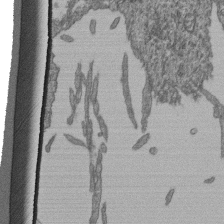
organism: Human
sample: Retinal organoid Rod and Cone cells